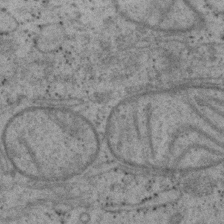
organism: Human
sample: HeLa cells